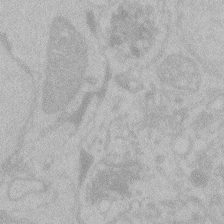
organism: Zebrafish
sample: Macrophage infected with Toxoplasma gondii